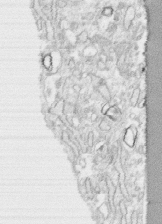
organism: Human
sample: CRL-1474